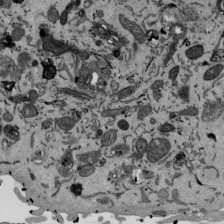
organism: Mouse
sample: ED-1 cell nuclei; centrioles